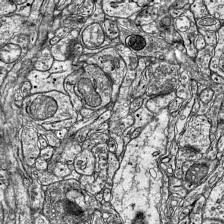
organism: Mouse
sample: Visual Cortex